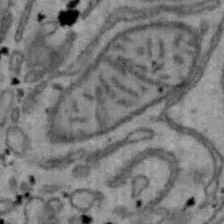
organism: Mouse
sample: Liver